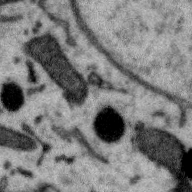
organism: Zebra finch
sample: Brain